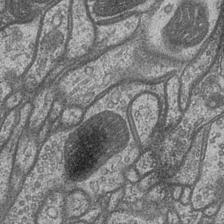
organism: Drosophila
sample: Optic medulla